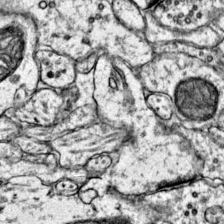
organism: Mouse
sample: Primary visual cortex